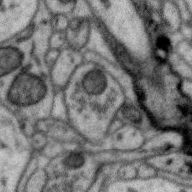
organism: Zebra finch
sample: Brain